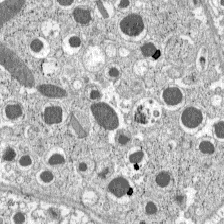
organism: C57BL Mouse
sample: Pancreatic islet